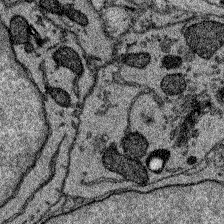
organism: Zebrafish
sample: Larval olfactory bulb